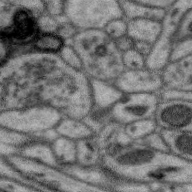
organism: Zebra finch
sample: Brain